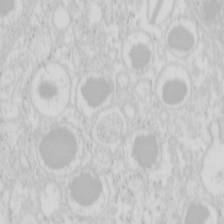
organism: Mouse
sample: Pancreas